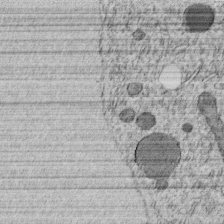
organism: C. elegans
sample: C. elegans embryo early stage